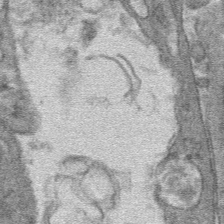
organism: Mouse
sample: Mouse hepatocytes